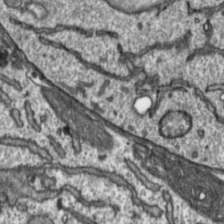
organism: Toxoplasma gondii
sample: Parasites in a vacuole inside a host cell